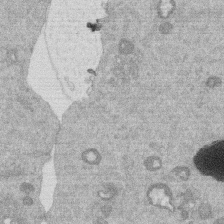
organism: Mouse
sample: Dividing mouse embryo 1 cell stage